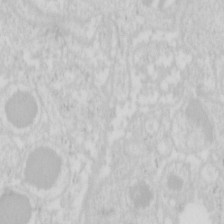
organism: Mouse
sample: Pancreas